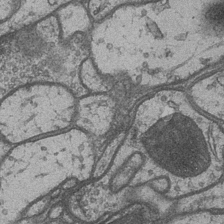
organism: Drosophila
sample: Optic medulla